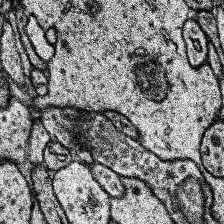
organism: Human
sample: Temporal Lobe